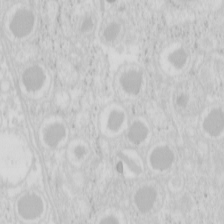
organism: Mouse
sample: Pancreas